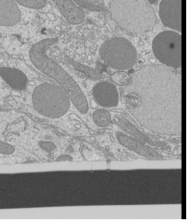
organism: Mouse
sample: Cilia; mouse epididymis